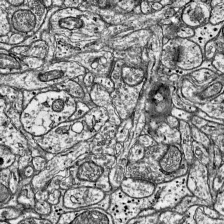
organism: Mouse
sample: Visual Cortex